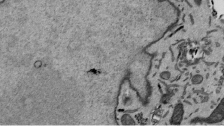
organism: Mouse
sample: ED-1 cell nuclei; centrioles